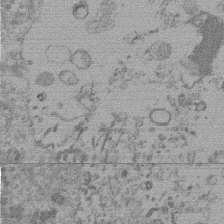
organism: Mouse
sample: Dividing mouse embryo 1 cell stage